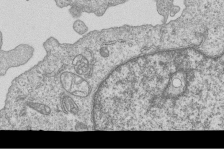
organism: Human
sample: MDA-MB-231 cells